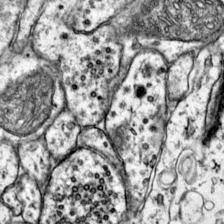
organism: Mouse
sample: Primary visual cortex